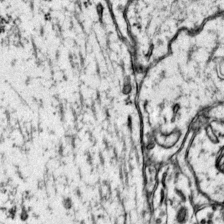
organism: Mouse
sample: Primary visual cortex